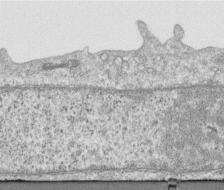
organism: Human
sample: Centriole in RPE cells